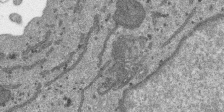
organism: Human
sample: Lung epithelial cells infected with SARS-CoV-2